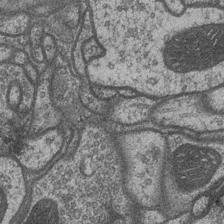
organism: Drosophila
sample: Optic medulla